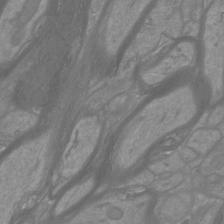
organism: Mouse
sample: Cortical neurons